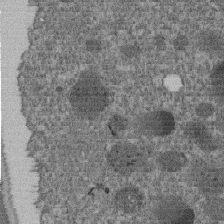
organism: C. elegans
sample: C. elegans embryo early stage